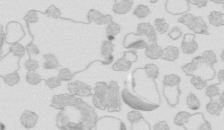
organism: Mouse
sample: Multiciliated cells